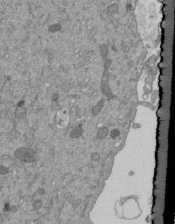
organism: Mouse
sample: ED-1 cell nuclei; centrioles